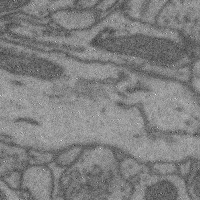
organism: Mouse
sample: Cerebral cortex